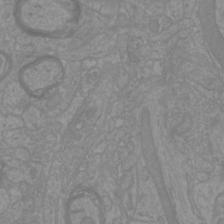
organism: Mouse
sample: Cortical neurons